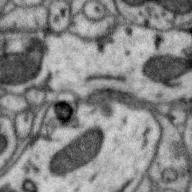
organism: Zebra finch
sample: Brain